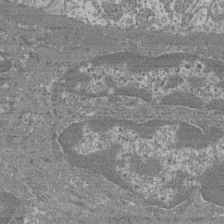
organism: Mouse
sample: Glomerulus